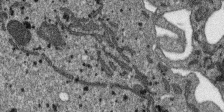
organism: Human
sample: Lung epithelial cells infected with SARS-CoV-2